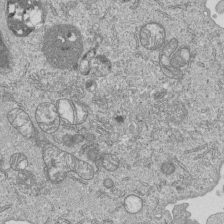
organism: Human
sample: MDA-MB-231 cells